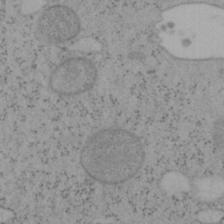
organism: Mouse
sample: OT-I killer T cells with ID8 ovarian cancer cells